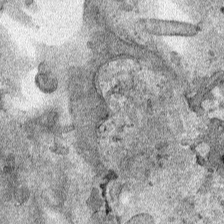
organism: Human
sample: Mitochondria in HCT116 cells